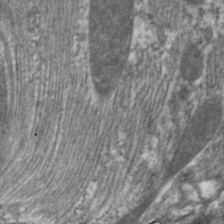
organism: C. elegans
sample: Pharynx